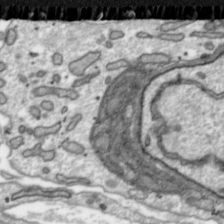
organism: Toxoplasma gondii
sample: Parasites in a vacuole inside a host cell